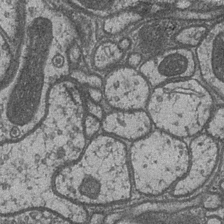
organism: Drosophila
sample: Optic medulla